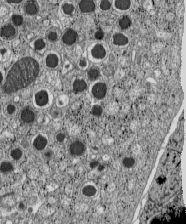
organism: C57BL Mouse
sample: Pancreatic islet